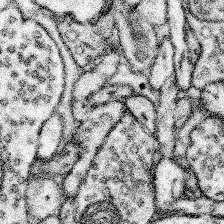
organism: Mouse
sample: Somatosensory cortex neuropil